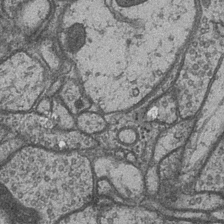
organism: Drosophila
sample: Optic medulla